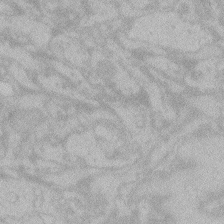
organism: Zebrafish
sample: Macrophage infected with Toxoplasma gondii